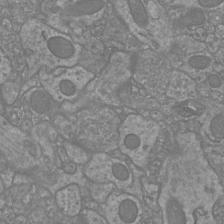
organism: Mouse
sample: Cortical neurons